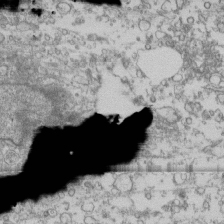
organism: Human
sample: Fibroblast cells